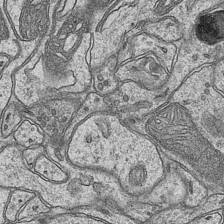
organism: Mouse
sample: CA1 Hippocampus